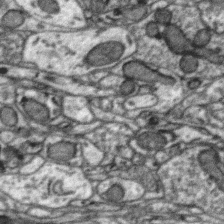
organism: Zebra finch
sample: Brain